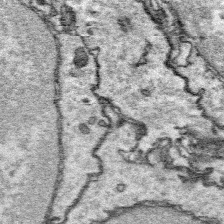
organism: Platynereis dumerilii